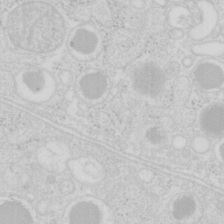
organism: Mouse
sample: Pancreas